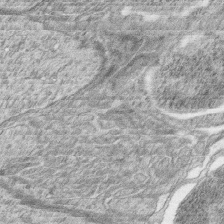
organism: Zebrafish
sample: synaptic ribbons in rod cells and cone cells